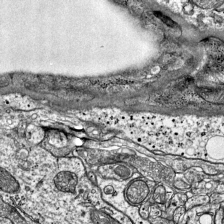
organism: Mouse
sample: Visual Cortex